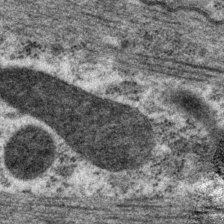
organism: P. pacificus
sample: Pharynx